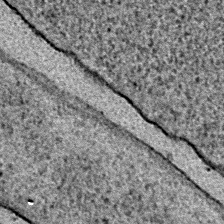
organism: E. coli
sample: E. Coli Bacteria